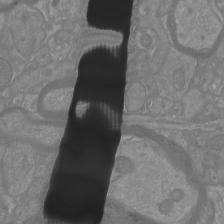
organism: Mouse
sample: Cortical neurons